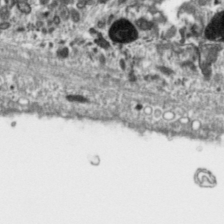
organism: Toxoplasma gondii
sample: Parasites in a vacuole inside a host cell